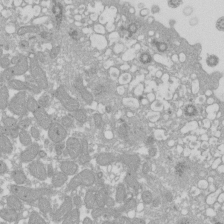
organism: Xenopus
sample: Cilia; centrioles in frog embryo cells